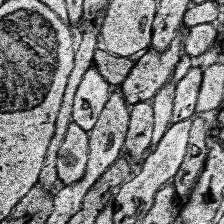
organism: Human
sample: Temporal Lobe